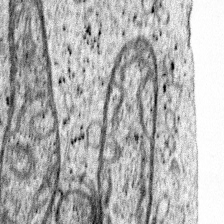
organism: Human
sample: HeLa cells